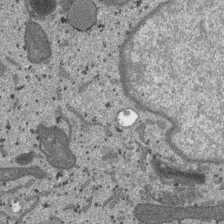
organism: Human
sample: Lung epithelial cells infected with SARS-CoV-2